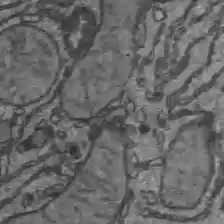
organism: C57BL Mouse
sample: Liver